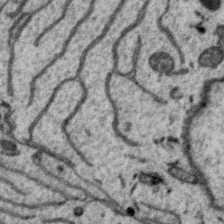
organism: Zebra finch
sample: Brain